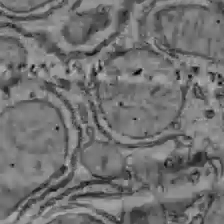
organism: C57BL Mouse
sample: Liver